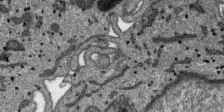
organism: Human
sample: Lung epithelial cells, uninfected (mock) control